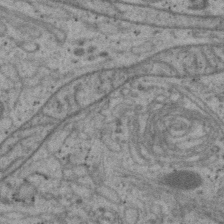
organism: Human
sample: HeLa cells